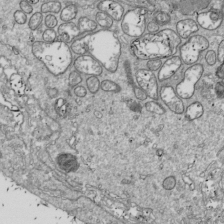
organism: Drosophila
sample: Cell division; meiosis; drosophila spermatocytes